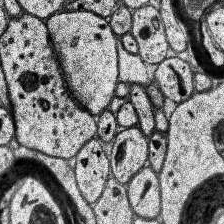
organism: Human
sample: Temporal Lobe